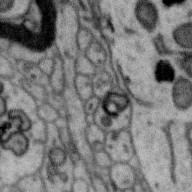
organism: Zebra finch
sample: Brain